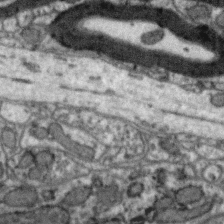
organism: Zebra finch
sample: Brain